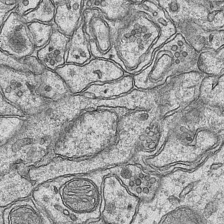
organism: Mouse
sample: CA1 Hippocampus